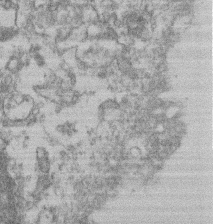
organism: Mouse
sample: T cell stromal cell synapse